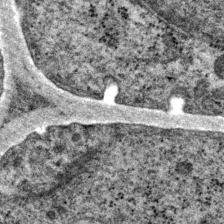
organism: P. pacificus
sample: Pharynx